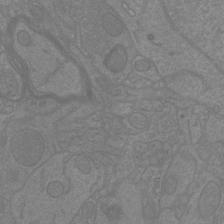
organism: Mouse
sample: Cortical neurons